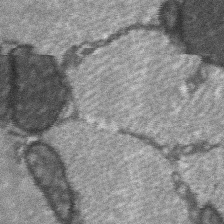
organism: C57BL Mouse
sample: Soleus